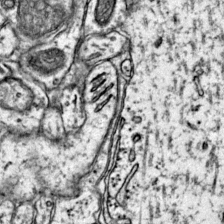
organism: Mouse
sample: Primary visual cortex